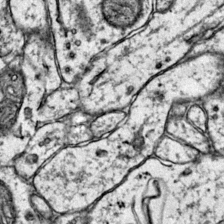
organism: Mouse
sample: Primary visual cortex